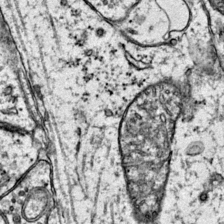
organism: Mouse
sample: Primary visual cortex